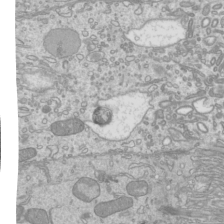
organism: Mouse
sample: Cilia; mouse epididymis